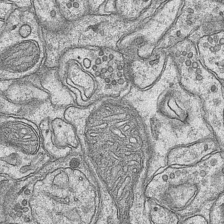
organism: Mouse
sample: CA1 Hippocampus